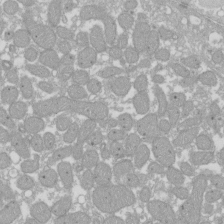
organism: Xenopus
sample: Cilia; centrioles in frog embryo cells